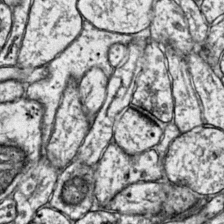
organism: Mouse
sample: Primary visual cortex